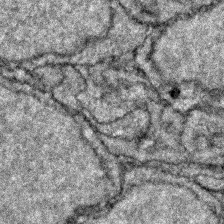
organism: Zebrafish